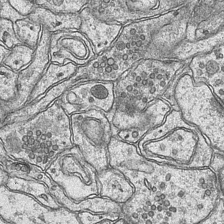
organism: Mouse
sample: CA1 Hippocampus